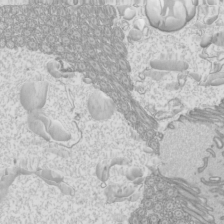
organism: Mouse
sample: Cilia; mouse epididymis